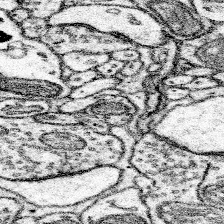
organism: Mouse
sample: Somatosensory cortex neuropil